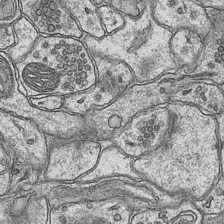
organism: Mouse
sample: CA1 Hippocampus